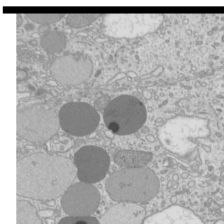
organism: Mouse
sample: Cilia; mouse epididymis